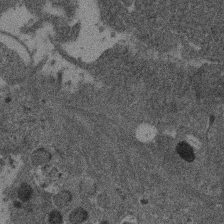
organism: Mouse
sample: Dividing mouse embryo 1 cell stage